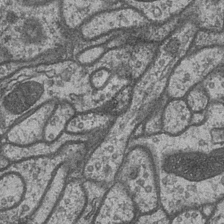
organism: Drosophila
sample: Optic medulla